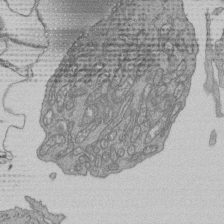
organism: Human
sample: Retinal organoid Rod and Cone cells